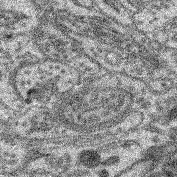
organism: Mouse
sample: Retina